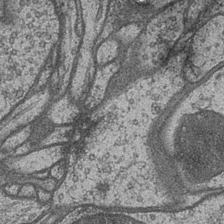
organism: Drosophila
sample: Optic medulla